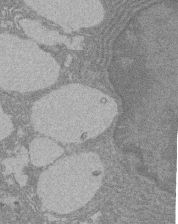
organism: Rat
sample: Salivary granule